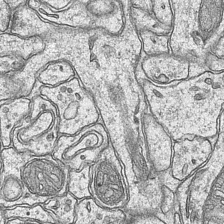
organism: Mouse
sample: CA1 Hippocampus